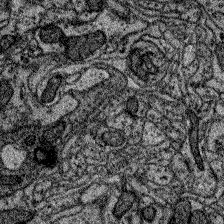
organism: Zebrafish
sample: Larval olfactory bulb